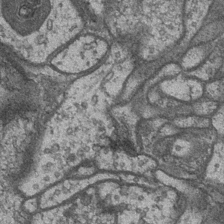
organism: Drosophila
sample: Optic medulla